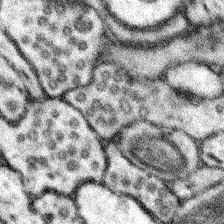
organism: Mouse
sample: Somatosensory cortex neuropil